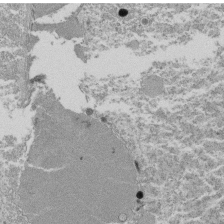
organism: Tetrahymena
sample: Cilia in tetrahymena